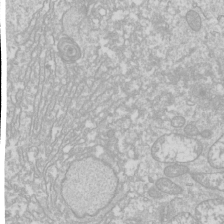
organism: Drosophila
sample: Cell division; meiosis; drosophila spermatocytes